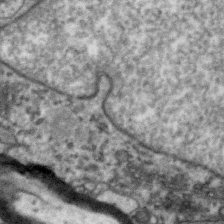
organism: Zebra finch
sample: Brain